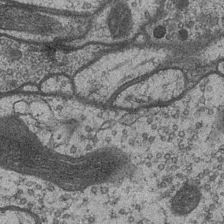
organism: Drosophila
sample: Optic medulla